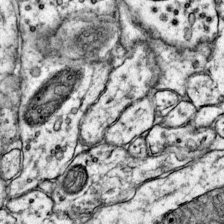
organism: Mouse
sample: Primary visual cortex